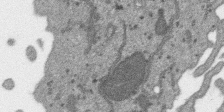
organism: Human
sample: Lung epithelial cells infected with SARS-CoV-2